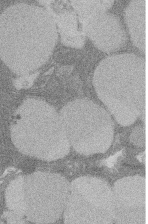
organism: Rat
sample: Salivary granule